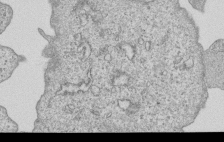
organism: Human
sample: MDA-MB-231 cells